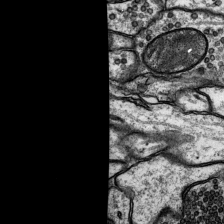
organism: Rat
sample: Hippocampus